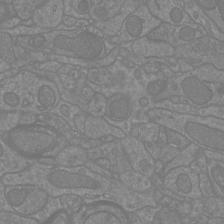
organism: Mouse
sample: Cortical neurons